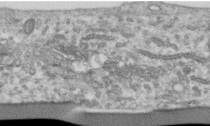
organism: Human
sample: Centriole in RPE cells